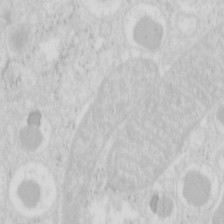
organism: Mouse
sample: Pancreas